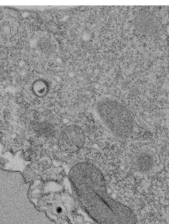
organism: Tetrahymena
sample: Cilia in tetrahymena